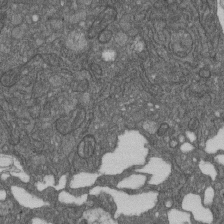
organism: Drosophila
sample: Nephrocyte